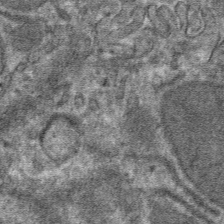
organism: Mouse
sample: Mouse hepatocytes